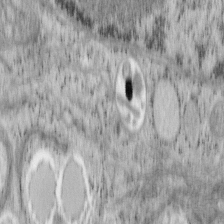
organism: Human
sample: HeLa cells